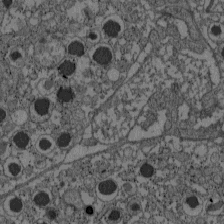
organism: C57BL Mouse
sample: Pancreatic islet